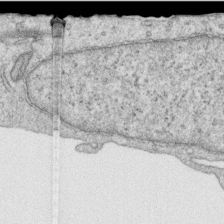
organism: Human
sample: Centriole in RPE cells